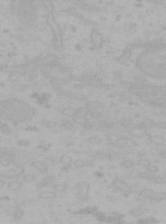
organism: Mouse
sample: Choroid plexus